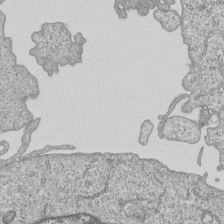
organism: Human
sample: MDA-MB-231 cells